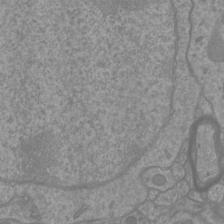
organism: Mouse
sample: Cortical neurons